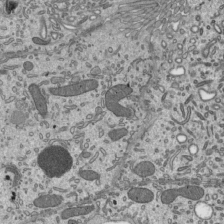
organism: Mouse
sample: Mouse epididymis efferent ductule cilia